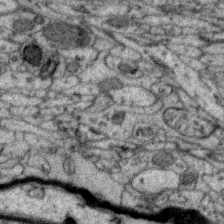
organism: Zebra finch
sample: Brain